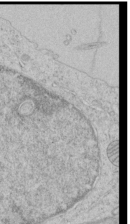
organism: Human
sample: Mitochondria in HCT116 cells